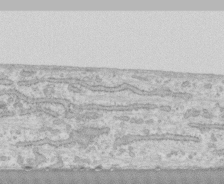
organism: Human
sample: CRL-1474